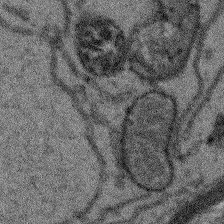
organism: Arabidopsis thaliana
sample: Root tip